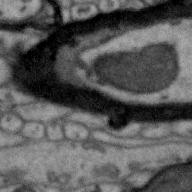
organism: Zebra finch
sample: Brain